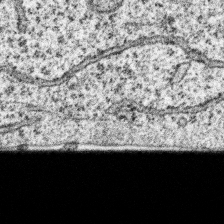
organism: Human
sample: HeLa cells